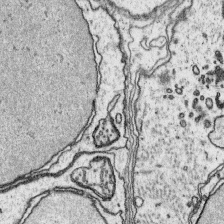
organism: Platynereis dumerilii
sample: Parapodia